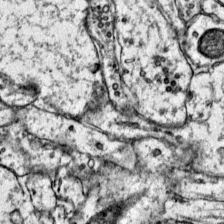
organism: Mouse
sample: Primary visual cortex